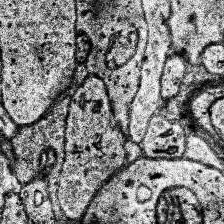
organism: Human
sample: Temporal Lobe